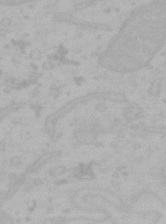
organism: Mouse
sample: Choroid plexus